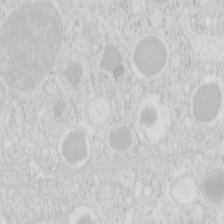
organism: Mouse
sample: Pancreas